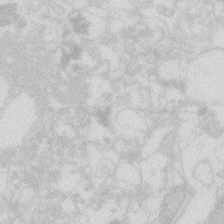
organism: Zebrafish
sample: Macrophage